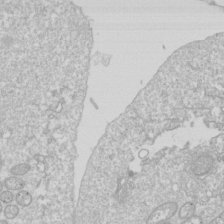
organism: Drosophila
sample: Cell division; meiosis; drosophila spermatocytes